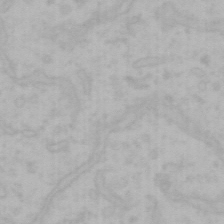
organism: Mouse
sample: Choroid plexus